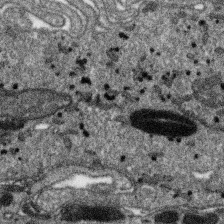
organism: Human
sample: Lung epithelial cells infected with SARS-CoV-2